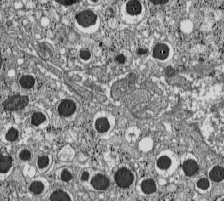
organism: C57BL Mouse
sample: Pancreatic islet